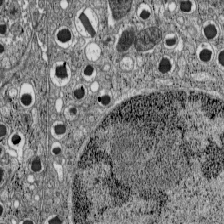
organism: C57BL Mouse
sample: Pancreatic islet